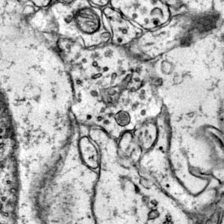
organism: Mouse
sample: Primary visual cortex